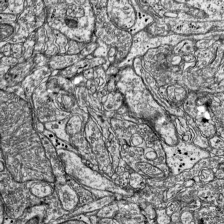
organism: Mouse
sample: Visual Cortex